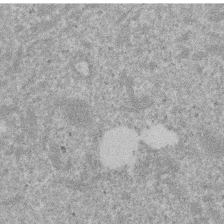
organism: Mouse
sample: Dividing mouse embryo 1 cell stage